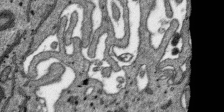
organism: Human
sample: Lung epithelial cells, uninfected (mock) control